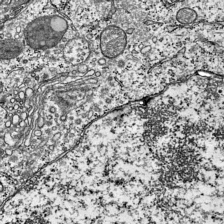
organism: Mouse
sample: Visual Cortex